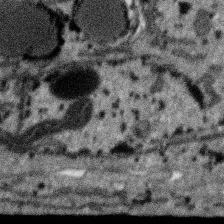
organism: Human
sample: Lung epithelial cells infected with SARS-CoV-2